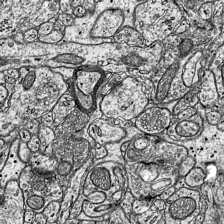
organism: Mouse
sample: Visual Cortex